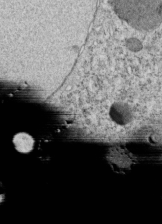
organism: C. elegans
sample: C. elegans embryo early stage